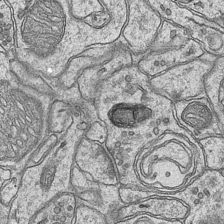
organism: Mouse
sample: CA1 Hippocampus